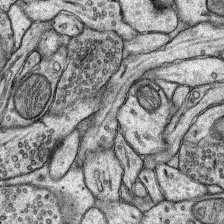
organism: Rat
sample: Hippocampus